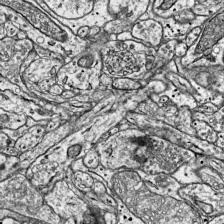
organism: Mouse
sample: Visual Cortex